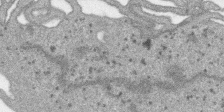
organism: Human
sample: Lung epithelial cells infected with SARS-CoV-2